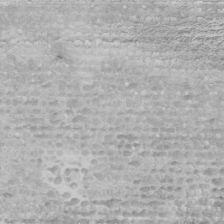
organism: Human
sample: Mitochondria in U2OS cells